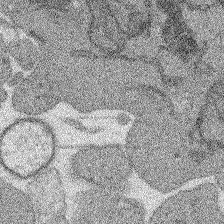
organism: Human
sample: HeLa cells